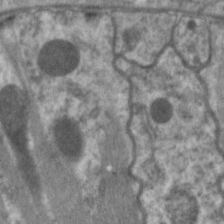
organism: C. elegans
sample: Pharynx